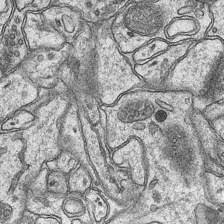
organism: Mouse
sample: CA1 Hippocampus